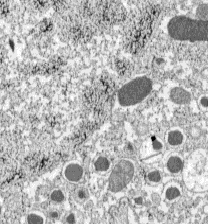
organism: C57BL Mouse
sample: Pancreatic islet